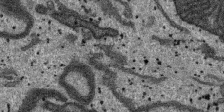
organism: Human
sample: Lung epithelial cells, uninfected (mock) control